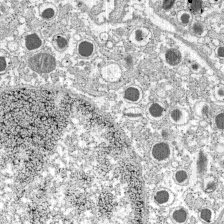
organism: C57BL Mouse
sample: Pancreatic islet